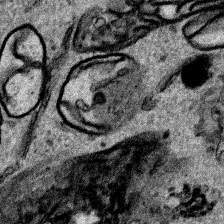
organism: Human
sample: Mitochondria in HCT116 cells